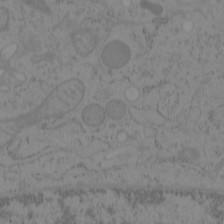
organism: Human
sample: HeLa cells